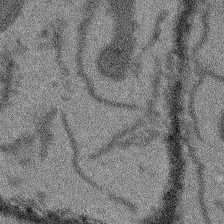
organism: Arabidopsis thaliana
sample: Root tip